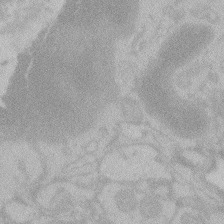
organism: Zebrafish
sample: Macrophage infected with Toxoplasma gondii